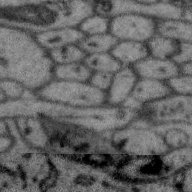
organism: Zebra finch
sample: Brain